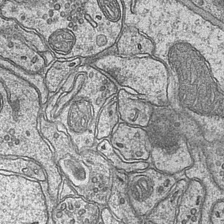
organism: Mouse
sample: CA1 Hippocampus